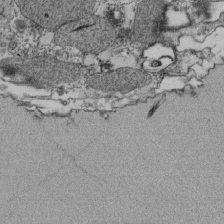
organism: Tetrahymena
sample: Cilia in tetrahymena